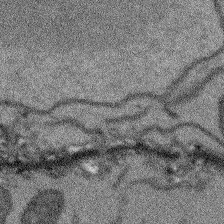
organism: Arabidopsis thaliana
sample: Root tip